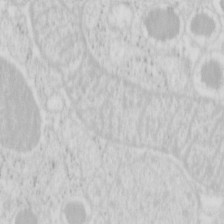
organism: Mouse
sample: Pancreas